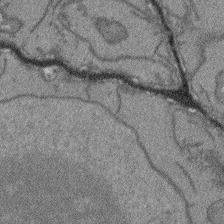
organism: Arabidopsis thaliana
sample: Root tip